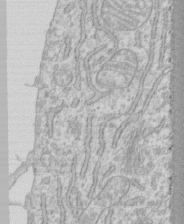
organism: Human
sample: CRL-1474